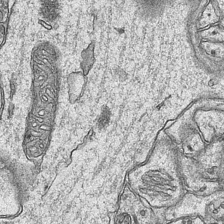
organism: Mouse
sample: CA1 Hippocampus